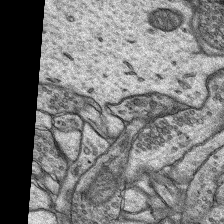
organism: Rat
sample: Hippocampus